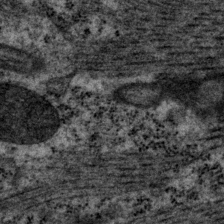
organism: P. pacificus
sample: Pharynx